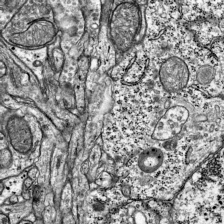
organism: Mouse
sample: Visual Cortex